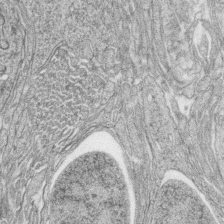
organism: Zebrafish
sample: synaptic ribbons in rod cells and cone cells